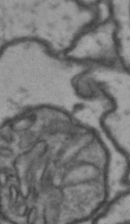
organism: Drosophila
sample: Brain